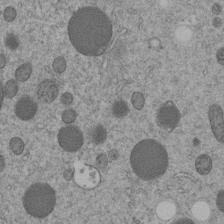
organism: C. elegans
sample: C. elegans embryo early stage